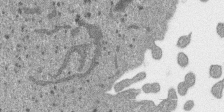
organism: Human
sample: Lung epithelial cells infected with SARS-CoV-2